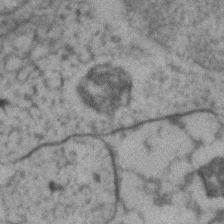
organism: Zebrafish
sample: Zebrafish embryo